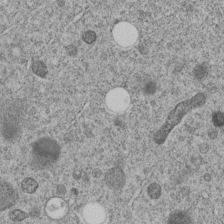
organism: C. elegans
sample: C. elegans embryo early stage